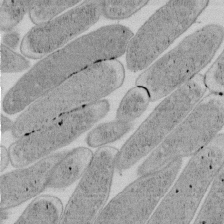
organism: E. coli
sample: Bacterial nucleoid